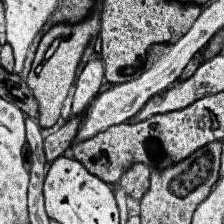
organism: Human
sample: Temporal Lobe